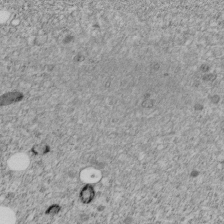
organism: C. elegans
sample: C. elegans embryo early stage